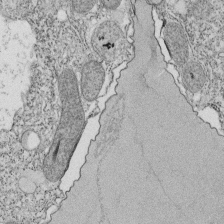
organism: Tetrahymena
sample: Cilia in tetrahymena